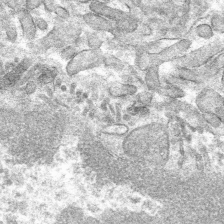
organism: Mouse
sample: Mouse hepatocytes